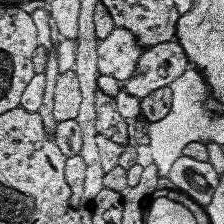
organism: Human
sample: Temporal Lobe